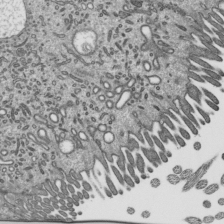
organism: Mouse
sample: Mouse epididymis efferent ductule cilia